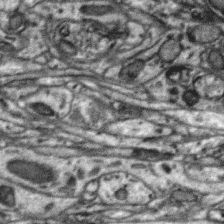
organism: Zebra finch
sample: Brain